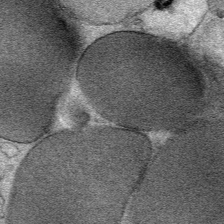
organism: Mouse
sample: Mouse Salivary gland